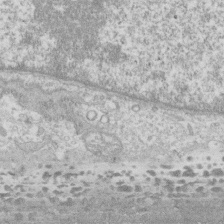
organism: Human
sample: CRL-1474